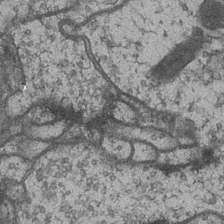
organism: Drosophila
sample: Optic medulla